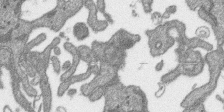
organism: Human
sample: Lung epithelial cells infected with SARS-CoV-2